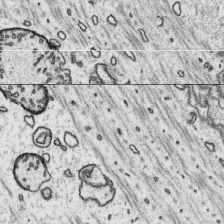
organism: Platynereis dumerilii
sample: Parapodia